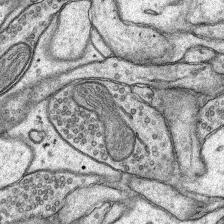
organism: Rat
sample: Hippocampus